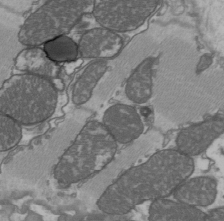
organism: C57BL Mouse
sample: Heart